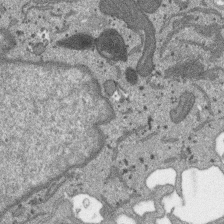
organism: Human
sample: Lung epithelial cells infected with SARS-CoV-2